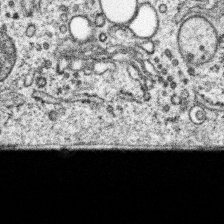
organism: Human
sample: HeLa cells